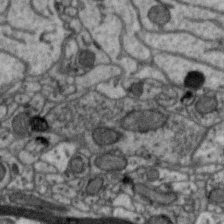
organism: Zebra finch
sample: Brain